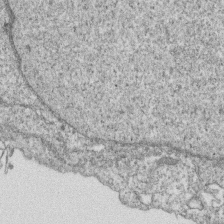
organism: Human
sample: HeLa cell HIV synapse